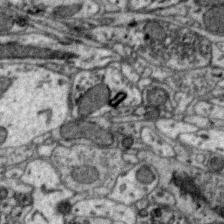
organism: Zebra finch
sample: Brain